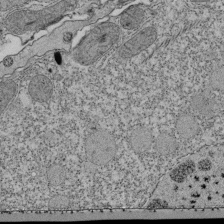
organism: Tetrahymena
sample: Cilia in tetrahymena